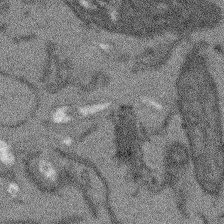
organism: Arabidopsis thaliana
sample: Root tip